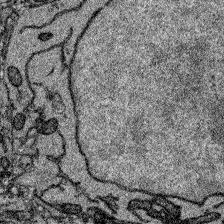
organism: Zebrafish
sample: Larval olfactory bulb